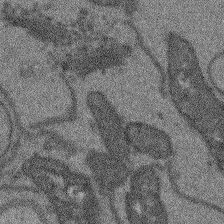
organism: Arabidopsis thaliana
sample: Root tip